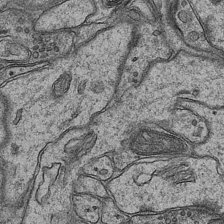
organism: Mouse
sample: CA1 Hippocampus